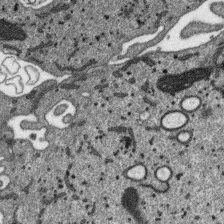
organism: Human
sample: Lung epithelial cells infected with SARS-CoV-2